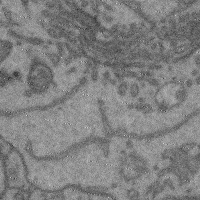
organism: Mouse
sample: Cerebral cortex